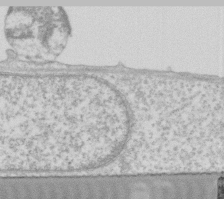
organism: Human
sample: Fibroblast cells